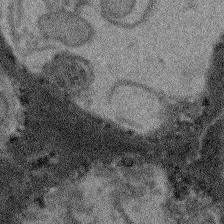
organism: Arabidopsis thaliana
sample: Root tip